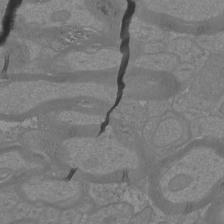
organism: Mouse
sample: Cortical neurons